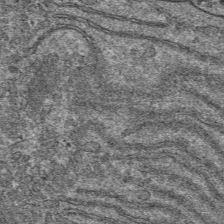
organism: Mouse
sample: Mouse hepatocytes